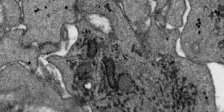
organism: Human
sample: Lung epithelial cells, uninfected (mock) control